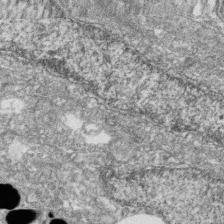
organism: Zebrafish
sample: Cilia; retinal pigment epithelium